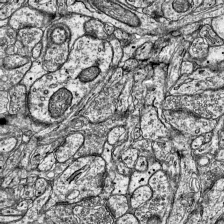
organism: Mouse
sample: Visual Cortex